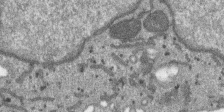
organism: Human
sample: Lung epithelial cells infected with SARS-CoV-2